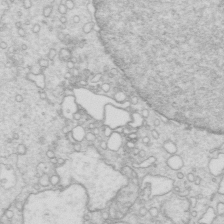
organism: Mouse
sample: Multiciliated cells